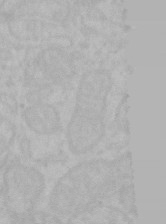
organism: Mouse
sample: Choroid plexus